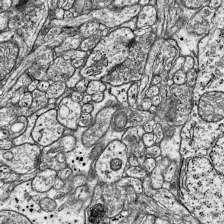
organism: Mouse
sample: Visual Cortex